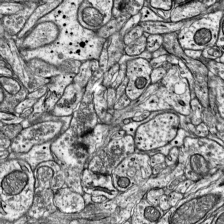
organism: Mouse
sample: Visual Cortex